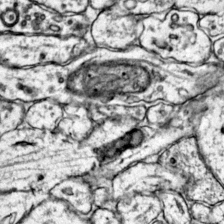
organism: Mouse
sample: Primary visual cortex